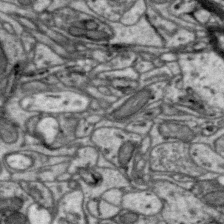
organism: Zebra finch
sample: Brain